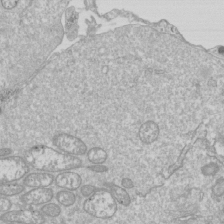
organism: Drosophila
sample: Cell division; meiosis; drosophila spermatocytes